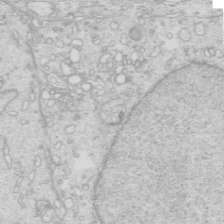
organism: Mouse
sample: Multiciliated cells